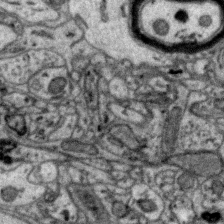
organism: Zebra finch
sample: Brain